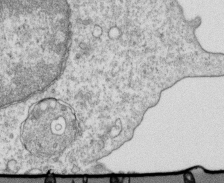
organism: Mouse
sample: Activated OT-1 CD8+ T cells